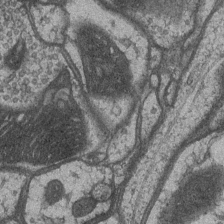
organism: Drosophila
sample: Optic medulla